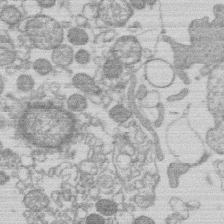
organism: Human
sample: Macrophage cells